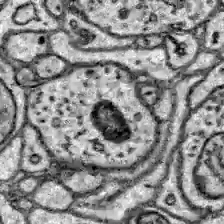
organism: Zebrafish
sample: Brain